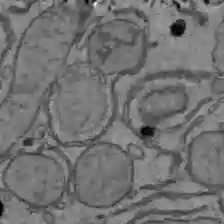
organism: C57BL Mouse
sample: Liver